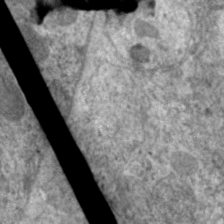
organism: C. elegans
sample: Pharynx